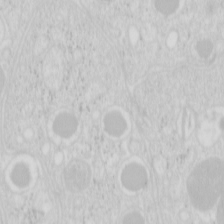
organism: Mouse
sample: Pancreas